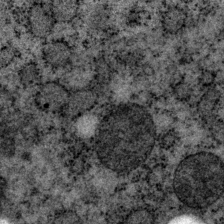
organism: P. pacificus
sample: Pharynx